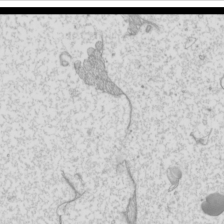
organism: Mouse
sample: Cilia; mouse epididymis